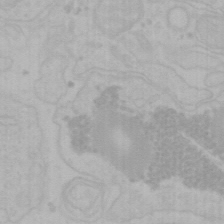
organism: Mouse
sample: Choroid plexus